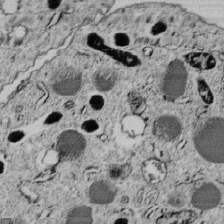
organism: C. elegans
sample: C. elegans embryo early stage